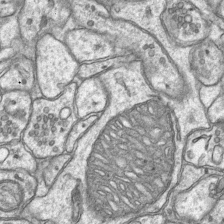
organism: Mouse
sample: CA1 Hippocampus